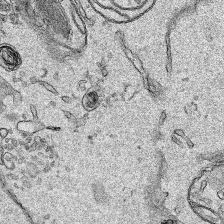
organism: Human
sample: Mitochondria in HCT116 cells